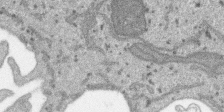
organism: Human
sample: Lung epithelial cells infected with SARS-CoV-2